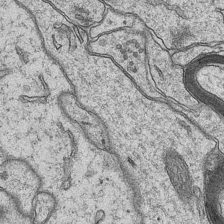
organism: Mouse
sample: CA1 Hippocampus